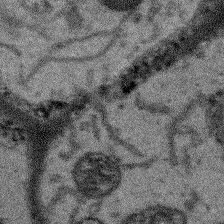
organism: Arabidopsis thaliana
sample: Root tip